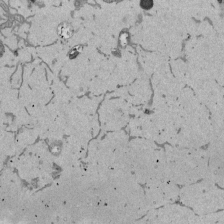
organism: Mouse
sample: ED-1 cell nuclei; centrioles